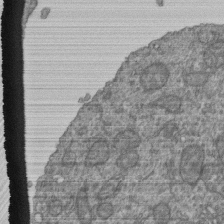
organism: Human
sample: Retinal organoid Rod and Cone cells